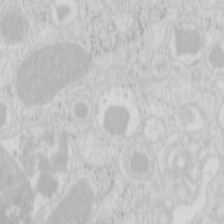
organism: Mouse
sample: Pancreas